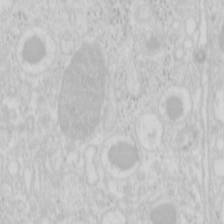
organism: Mouse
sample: Pancreas